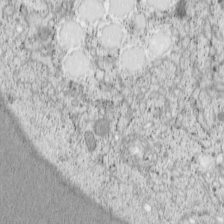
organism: African green monkey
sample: COS-7 cells